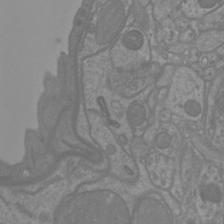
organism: Mouse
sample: Cortical neurons